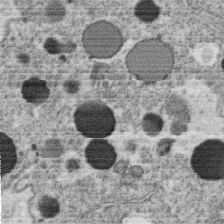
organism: C. elegans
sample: C. elegans oocyte; sperm cells